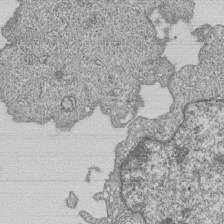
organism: Human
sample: MDA-MB-231 cells